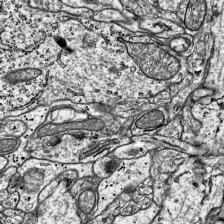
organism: Mouse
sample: Visual Cortex